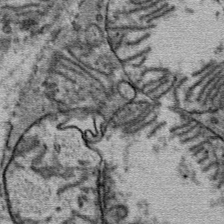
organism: Mouse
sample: Mouse Salivary gland